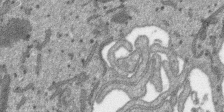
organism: Human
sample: Lung epithelial cells infected with SARS-CoV-2